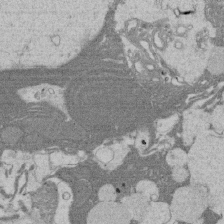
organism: Rat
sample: Salivary granule